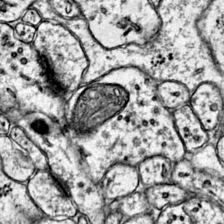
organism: Mouse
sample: Primary visual cortex